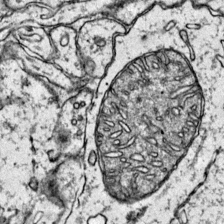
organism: Mouse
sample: Primary visual cortex